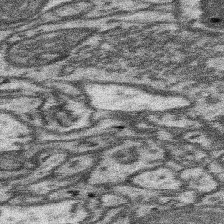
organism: Mouse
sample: Somatosensory cortex neuropil